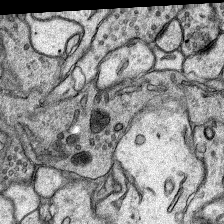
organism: Rat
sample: Hippocampus